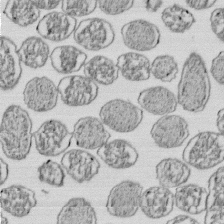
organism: E. coli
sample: Bacterial nucleoid